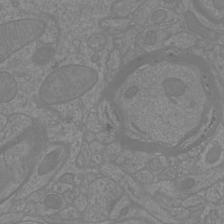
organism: Mouse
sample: Cortical neurons